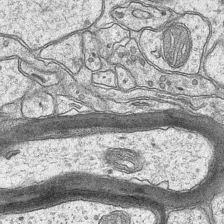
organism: Mouse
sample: CA1 Hippocampus